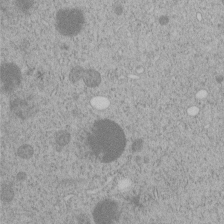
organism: C. elegans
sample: C. elegans embryo early stage